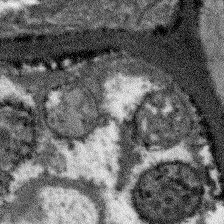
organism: Arabidopsis thaliana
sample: Root tip